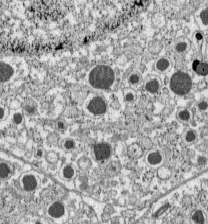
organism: C57BL Mouse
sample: Pancreatic islet